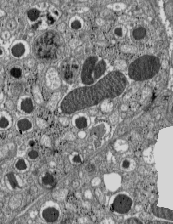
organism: C57BL Mouse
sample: Pancreatic islet